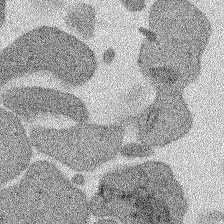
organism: Human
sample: HeLa cells